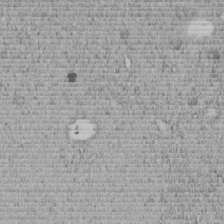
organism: C. elegans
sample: C. elegans embryo early stage